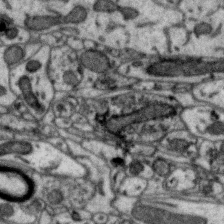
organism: Zebra finch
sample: Brain